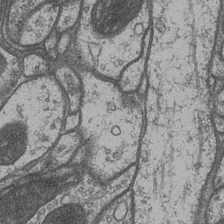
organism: Drosophila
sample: Optic medulla